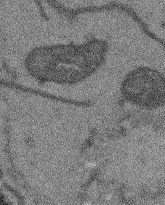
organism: Arabidopsis thaliana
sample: Root tip